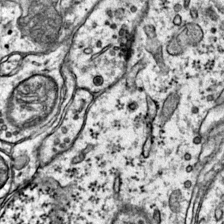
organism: Mouse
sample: Primary visual cortex